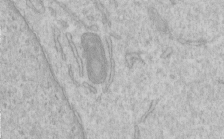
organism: Human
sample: Centriole in RPE cells